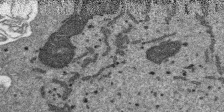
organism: Human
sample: Lung epithelial cells infected with SARS-CoV-2